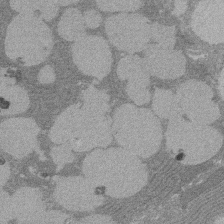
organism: Rat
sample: Salivary granule